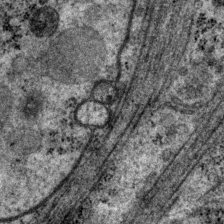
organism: P. pacificus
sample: Pharynx